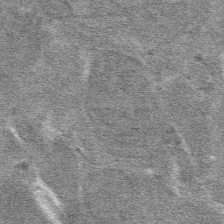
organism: Mouse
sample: Mouse hepatocytes